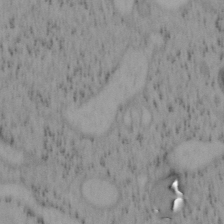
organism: Mouse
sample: OT-I killer T cells with ID8 ovarian cancer cells